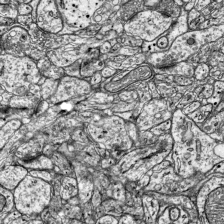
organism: Mouse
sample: Visual Cortex